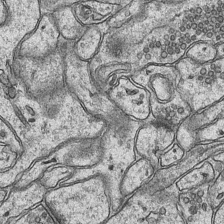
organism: Mouse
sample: CA1 Hippocampus